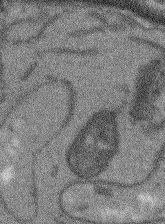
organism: Arabidopsis thaliana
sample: Root tip